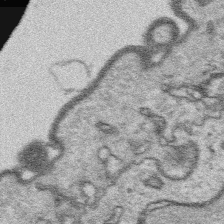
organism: Platynereis dumerilii